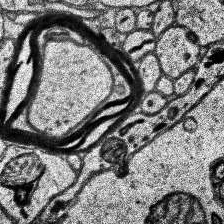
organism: Human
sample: Temporal Lobe